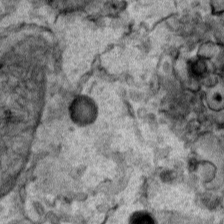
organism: Human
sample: Mitochondria in HCT116 cells